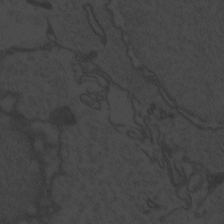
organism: Zebrafish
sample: Macrophage infected with Toxoplasma gondii